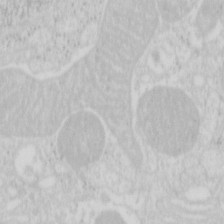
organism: Mouse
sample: Pancreas